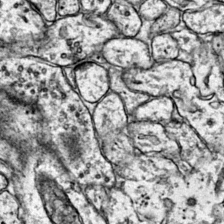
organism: Mouse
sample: Primary visual cortex